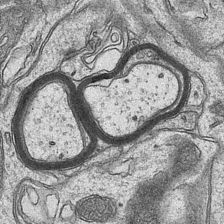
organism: Mouse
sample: CA1 Hippocampus